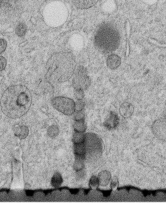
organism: C. elegans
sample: C. elegans embryo early stage